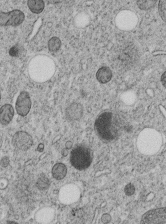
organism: C. elegans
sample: C. elegans embryo early stage